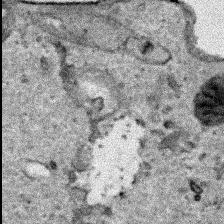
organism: Human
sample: Mitochondria in HCT116 cells